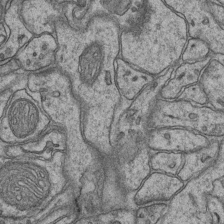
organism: Mouse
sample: CA1 Hippocampus